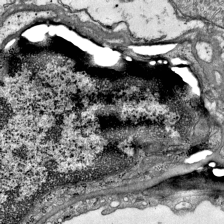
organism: Mouse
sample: Visual Cortex